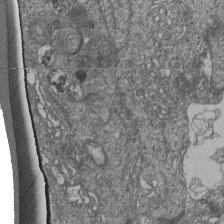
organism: Human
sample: Retinal organoid Rod and Cone cells